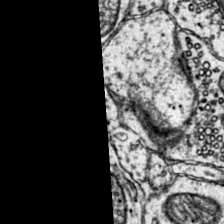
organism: Mouse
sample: Primary visual cortex